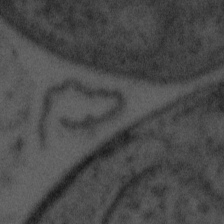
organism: Tuwongella immobilis